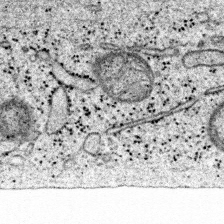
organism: Human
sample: HeLa cells